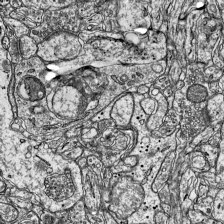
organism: Mouse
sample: Visual Cortex